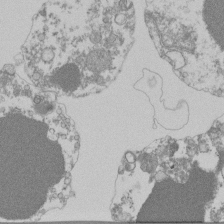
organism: Mouse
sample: Activated Pmel transgenic CD8+ T Cells